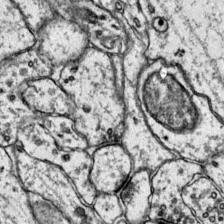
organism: Mouse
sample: Primary visual cortex